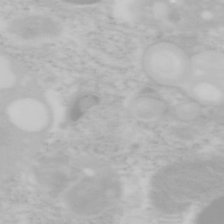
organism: Mouse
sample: OT-I killer T cells with ID8 ovarian cancer cells